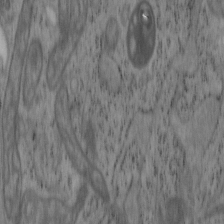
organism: Human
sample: HeLa cells